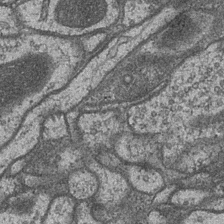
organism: Drosophila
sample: Optic medulla